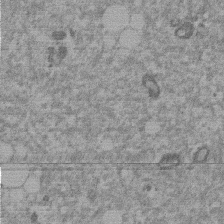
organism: Mouse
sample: Dividing mouse embryo 1 cell stage